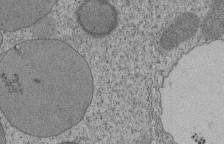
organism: Tetrahymena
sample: Cilia in tetrahymena